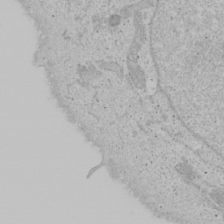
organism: Human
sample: Mitochondria in U2OS cells